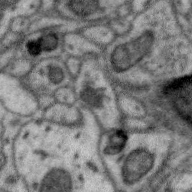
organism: Zebra finch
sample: Brain